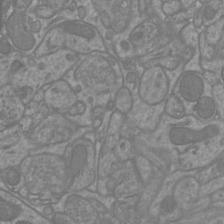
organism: Mouse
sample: Cortical neurons